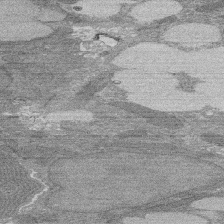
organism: Rat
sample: Salivary granule